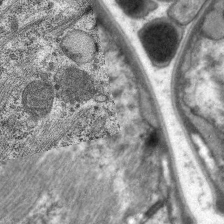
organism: C. elegans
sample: Pharynx